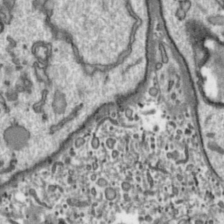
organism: Toxoplasma gondii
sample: Parasites in a vacuole inside a host cell